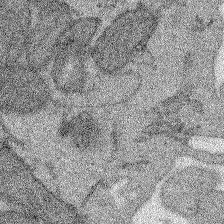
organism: Human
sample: HeLa cells